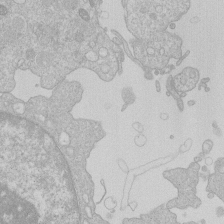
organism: Human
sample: Macrophage cells